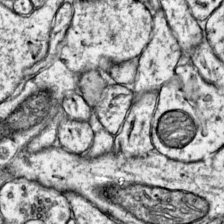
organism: Mouse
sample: Primary visual cortex